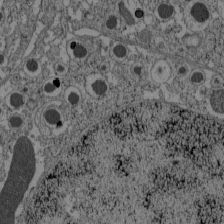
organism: C57BL Mouse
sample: Pancreatic islet